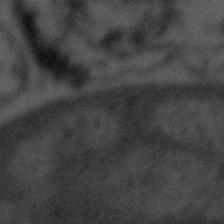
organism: Tuwongella immobilis